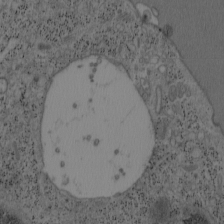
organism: Mouse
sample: OT-I killer T cells with ID8 ovarian cancer cells